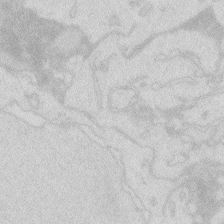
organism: Zebrafish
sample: Macrophage